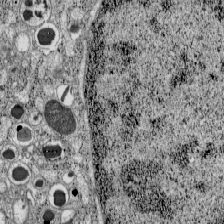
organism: C57BL Mouse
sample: Pancreatic islet